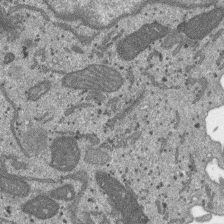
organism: Human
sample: Lung epithelial cells infected with SARS-CoV-2